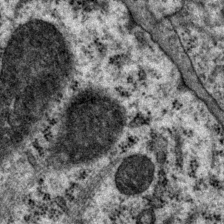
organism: P. pacificus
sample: Pharynx